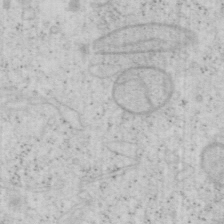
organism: Human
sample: HeLa cells